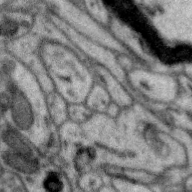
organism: Zebra finch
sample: Brain